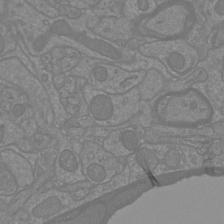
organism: Mouse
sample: Cortical neurons